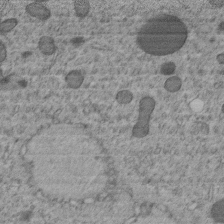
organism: C. elegans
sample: C. elegans embryo early stage